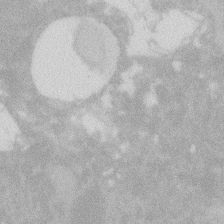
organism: Zebrafish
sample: Macrophage